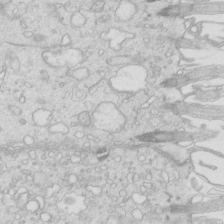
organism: Mouse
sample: Multiciliated cells